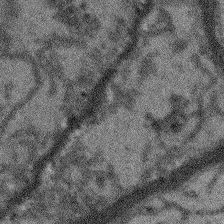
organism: Arabidopsis thaliana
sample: Root tip